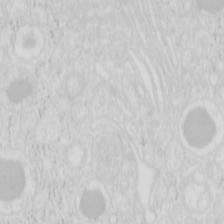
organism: Mouse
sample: Pancreas